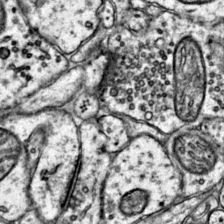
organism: Mouse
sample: Primary visual cortex